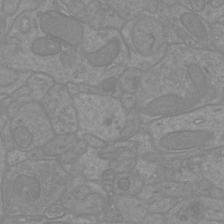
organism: Mouse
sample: Cortical neurons